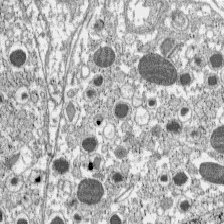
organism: C57BL Mouse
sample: Pancreatic islet